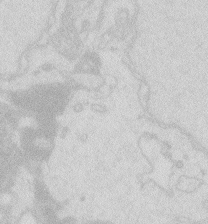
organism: Zebrafish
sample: Macrophage